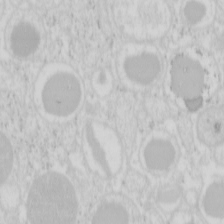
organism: Mouse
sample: Pancreas